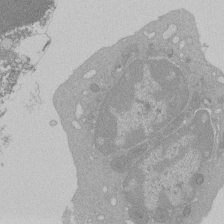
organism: Mouse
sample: Activated Pmel transgenic CD8+ T Cells